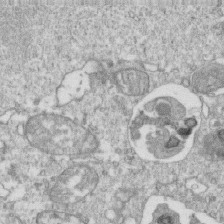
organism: Mouse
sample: Activated OT-1 CD8+ T cells